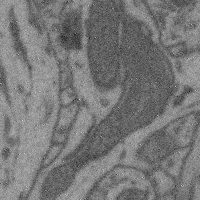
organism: Mouse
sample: Cerebral cortex